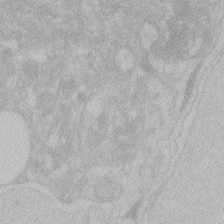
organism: Zebrafish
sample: Macrophage infected with Toxoplasma gondii